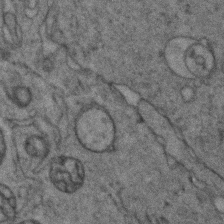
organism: Zebrafish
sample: Zebrafish embryo